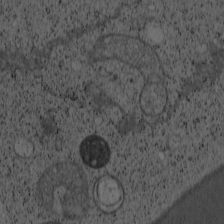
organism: African green monkey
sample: COS-7 cells